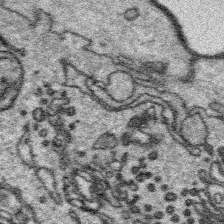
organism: Platynereis dumerilii